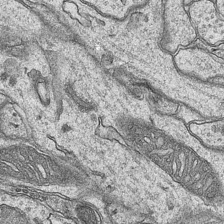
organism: Mouse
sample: CA1 Hippocampus